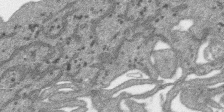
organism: Human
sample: Lung epithelial cells infected with SARS-CoV-2